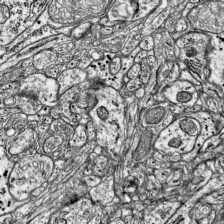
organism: Mouse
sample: Visual Cortex